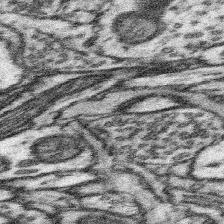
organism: Mouse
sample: Somatosensory cortex neuropil